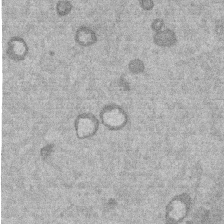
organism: Mouse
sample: Dividing mouse embryo 1 cell stage